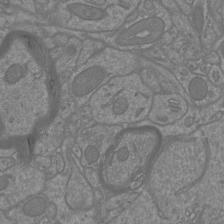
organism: Mouse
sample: Cortical neurons